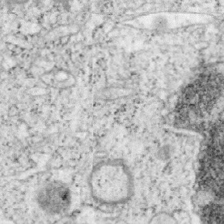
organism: Mouse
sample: OT-I killer T cells with ID8 ovarian cancer cells